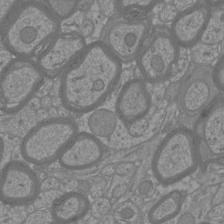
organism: Mouse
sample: Cortical neurons